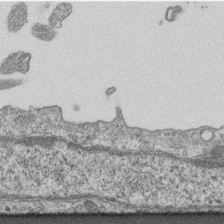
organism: Mouse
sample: Centriole in ependymal cells